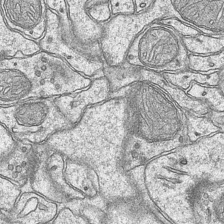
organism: Mouse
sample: CA1 Hippocampus